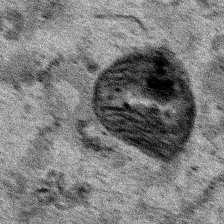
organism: Human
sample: Mitochondria in HCT116 cells